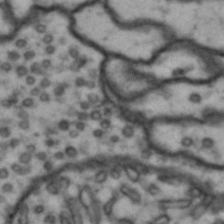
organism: Drosophila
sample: Brain